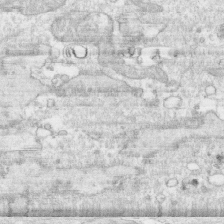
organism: Human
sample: CRL-1474